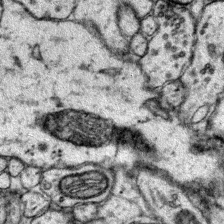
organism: Mouse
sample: Primary visual cortex